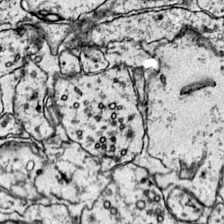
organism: Mouse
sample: Primary visual cortex